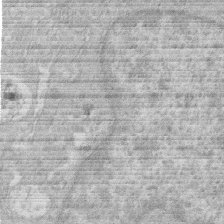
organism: Human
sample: Macrophage cells